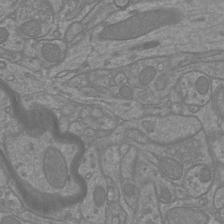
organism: Mouse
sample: Cortical neurons